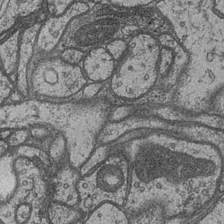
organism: Drosophila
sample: Optic medulla